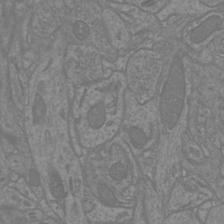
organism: Mouse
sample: Cortical neurons